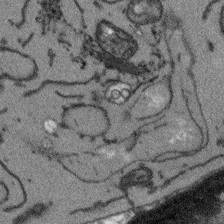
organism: Arabidopsis thaliana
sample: Root tip